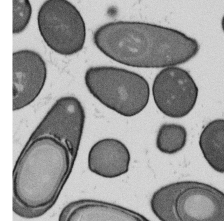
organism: B. subtilis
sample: Bacterial spore